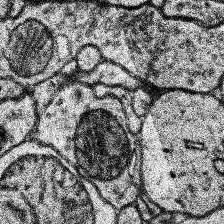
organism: Human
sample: Temporal Lobe